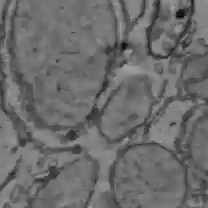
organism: C57BL Mouse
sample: Liver